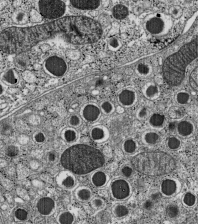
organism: C57BL Mouse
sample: Pancreatic islet